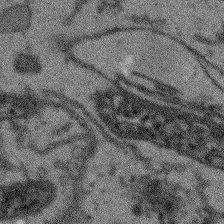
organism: Arabidopsis thaliana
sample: Root tip